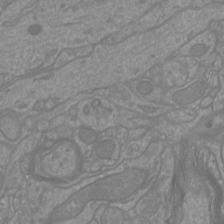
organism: Mouse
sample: Cortical neurons